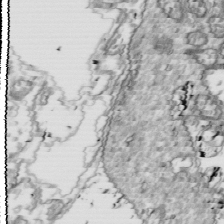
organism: Drosophila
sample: Cell division; meiosis; drosophila spermatocytes